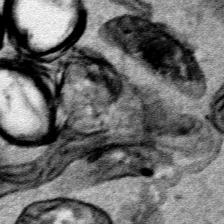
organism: Human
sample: Mitochondria in HCT116 cells